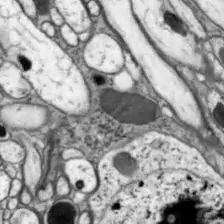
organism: Drosophila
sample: Optic lobe